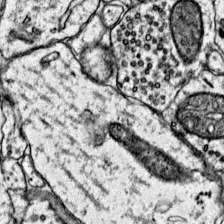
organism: Mouse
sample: Primary visual cortex